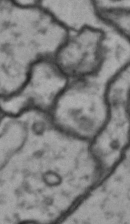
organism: Drosophila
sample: Brain